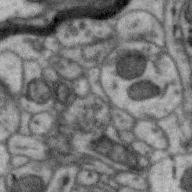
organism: Zebra finch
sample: Brain